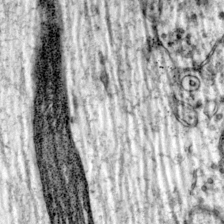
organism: Mouse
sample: Primary visual cortex